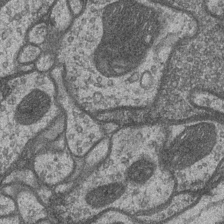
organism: Drosophila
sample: Optic medulla